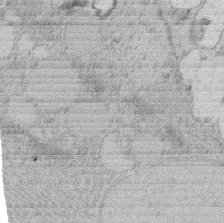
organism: Rat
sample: Salivary granule